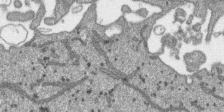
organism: Human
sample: Lung epithelial cells infected with SARS-CoV-2